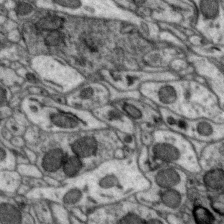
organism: Zebra finch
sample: Brain